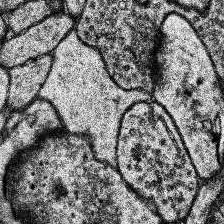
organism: Human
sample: Temporal Lobe